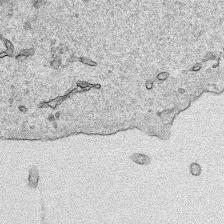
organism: Human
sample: Mitochondria in HCT116 cells